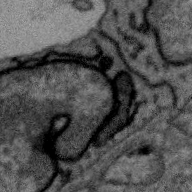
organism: Zebra finch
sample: Brain